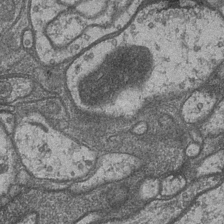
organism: Drosophila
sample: Optic medulla